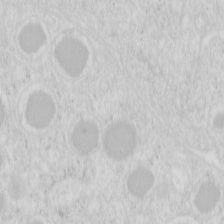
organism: Mouse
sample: Pancreas